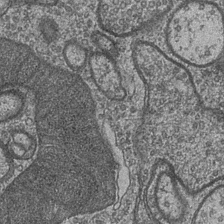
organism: Drosophila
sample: Optic medulla